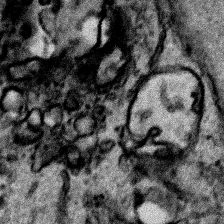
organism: Human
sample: Mitochondria in HCT116 cells